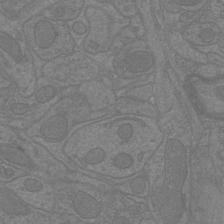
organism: Mouse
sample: Cortical neurons